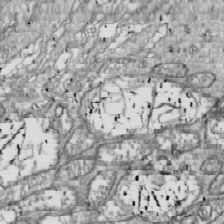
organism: Drosophila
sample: Cell division; meiosis; drosophila spermatocytes